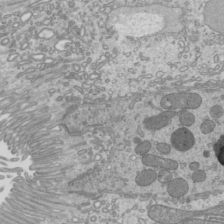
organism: Mouse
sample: Cilia; mouse epididymis